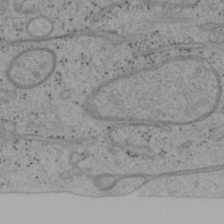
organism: Human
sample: HeLa cells